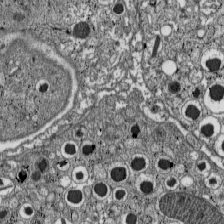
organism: C57BL Mouse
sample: Pancreatic islet